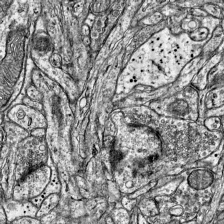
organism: Mouse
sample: Visual Cortex